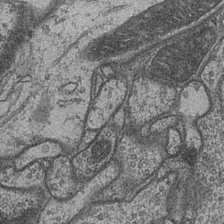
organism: Drosophila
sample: Optic medulla